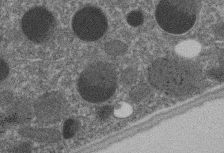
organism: C. elegans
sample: C. elegans embryo early stage